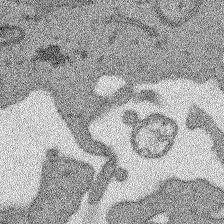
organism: Human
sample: HeLa cells